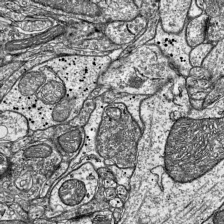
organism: Mouse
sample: Visual Cortex